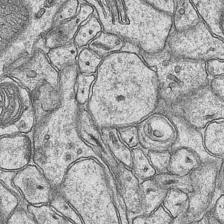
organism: Mouse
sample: CA1 Hippocampus